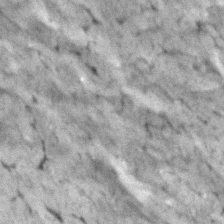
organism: Human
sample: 1205lu cells